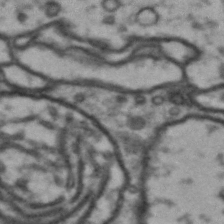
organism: Drosophila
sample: Brain